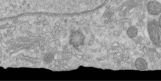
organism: Human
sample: Centriole in RPE cells